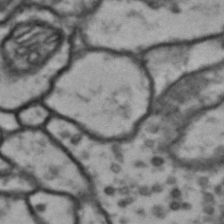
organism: Drosophila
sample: Brain